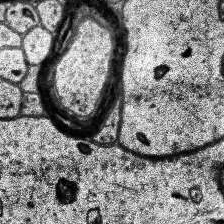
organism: Human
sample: Temporal Lobe